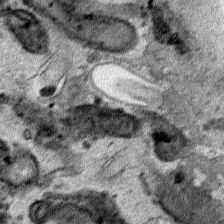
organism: Human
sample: Mitochondria in HCT116 cells